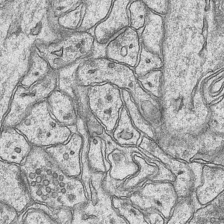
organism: Mouse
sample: CA1 Hippocampus